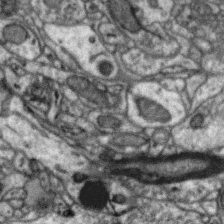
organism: Zebra finch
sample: Brain